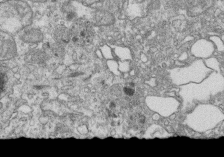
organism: Human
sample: HeLa cell HIV synapse